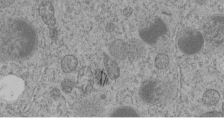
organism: C. elegans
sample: C. elegans embryo early stage